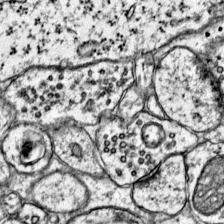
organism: Mouse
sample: Primary visual cortex